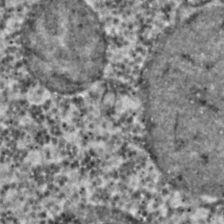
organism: C. elegans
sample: C. elegans embryo